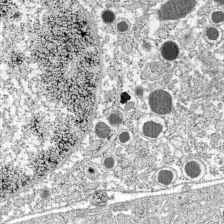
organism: C57BL Mouse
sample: Pancreatic islet